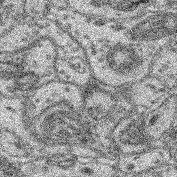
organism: Mouse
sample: Retina